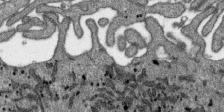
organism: Human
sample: Lung epithelial cells, uninfected (mock) control